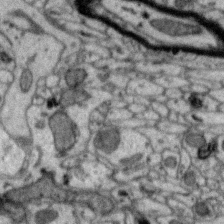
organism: Zebra finch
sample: Brain